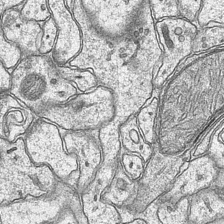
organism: Mouse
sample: CA1 Hippocampus